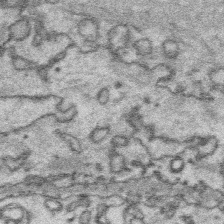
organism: Platynereis dumerilii